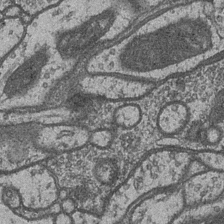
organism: Drosophila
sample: Optic medulla